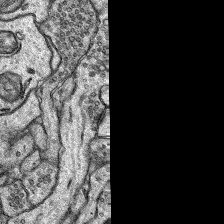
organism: Rat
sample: Hippocampus